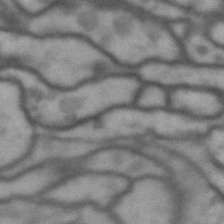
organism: Drosophila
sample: Brain